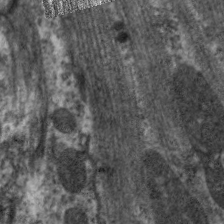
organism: C. elegans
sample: Pharynx